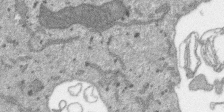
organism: Human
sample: Lung epithelial cells infected with SARS-CoV-2